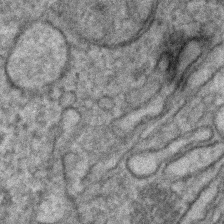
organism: Human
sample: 1205lu cells